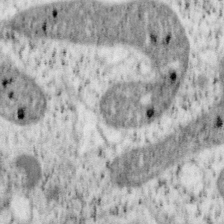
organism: Mouse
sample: OT-I killer T cells with ID8 ovarian cancer cells